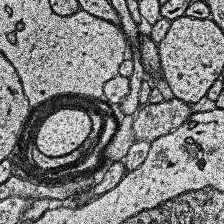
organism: Human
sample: Temporal Lobe